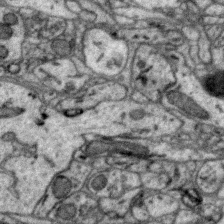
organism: Zebra finch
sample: Brain